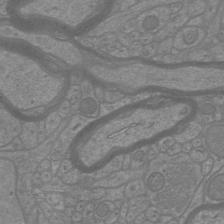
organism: Mouse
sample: Cortical neurons